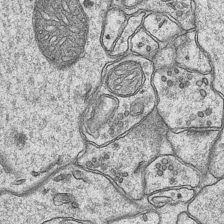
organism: Mouse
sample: CA1 Hippocampus